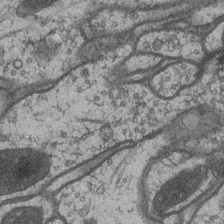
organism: Drosophila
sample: Optic medulla